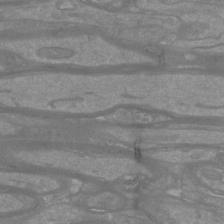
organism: Mouse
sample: Cortical neurons